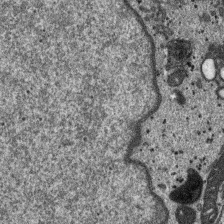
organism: Human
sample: Lung epithelial cells infected with SARS-CoV-2